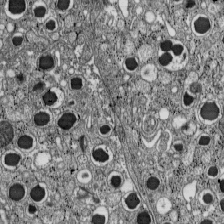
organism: C57BL Mouse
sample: Pancreatic islet